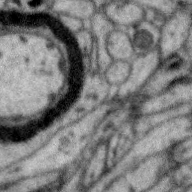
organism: Zebra finch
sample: Brain